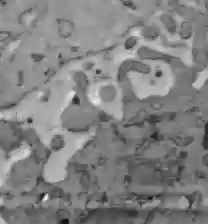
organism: C57BL Mouse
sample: Liver